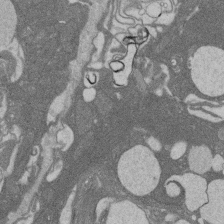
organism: Rat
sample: Salivary granule